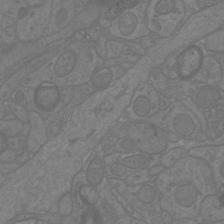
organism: Mouse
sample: Cortical neurons